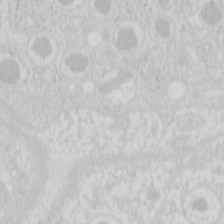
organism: Mouse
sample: Pancreas